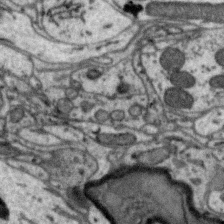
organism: Zebra finch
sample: Brain